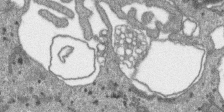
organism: Human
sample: Lung epithelial cells infected with SARS-CoV-2